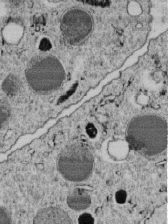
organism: C. elegans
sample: C. elegans embryo early stage